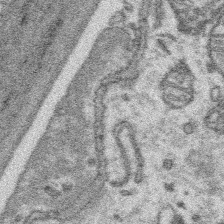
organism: Platynereis dumerilii